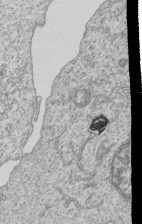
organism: Human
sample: MDA-MB-231 cells